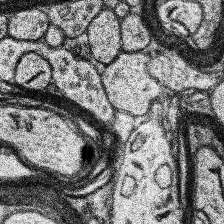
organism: Human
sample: Temporal Lobe